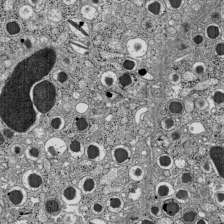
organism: C57BL Mouse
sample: Pancreatic islet